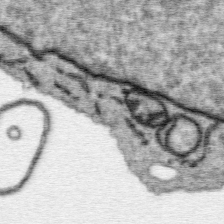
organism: Human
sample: HeLa cells